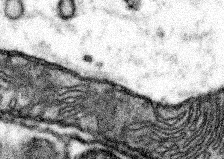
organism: Mouse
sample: Somatosensory cortex neuropil